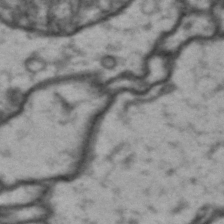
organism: Drosophila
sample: Brain